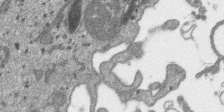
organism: Human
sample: Lung epithelial cells infected with SARS-CoV-2